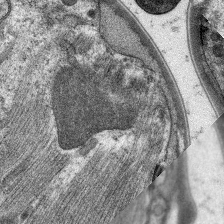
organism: C. elegans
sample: Pharynx